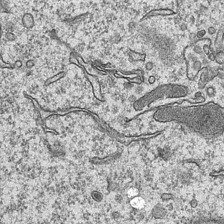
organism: Mouse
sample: CA1 Hippocampus